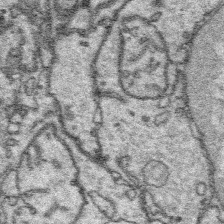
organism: Platynereis dumerilii